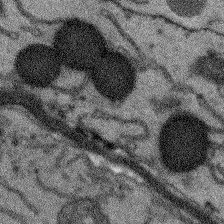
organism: Arabidopsis thaliana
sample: Root tip